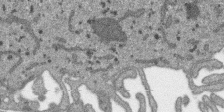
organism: Human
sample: Lung epithelial cells infected with SARS-CoV-2